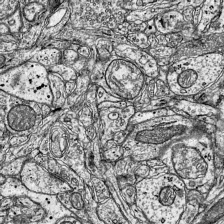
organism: Mouse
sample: Visual Cortex